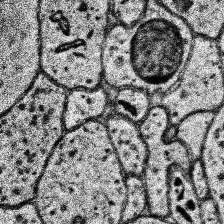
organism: Human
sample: Temporal Lobe